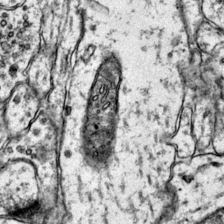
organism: Mouse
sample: Primary visual cortex